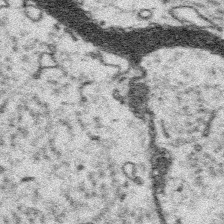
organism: Platynereis dumerilii